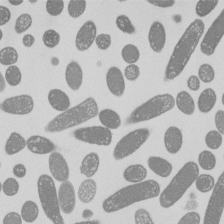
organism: E. coli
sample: Bacterial nucleoid